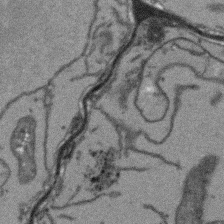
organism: Arabidopsis thaliana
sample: Root tip